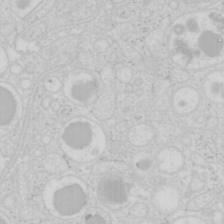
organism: Mouse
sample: Pancreas